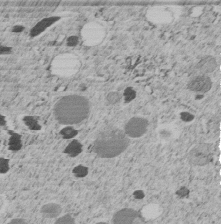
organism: C. elegans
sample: C. elegans embryo early stage